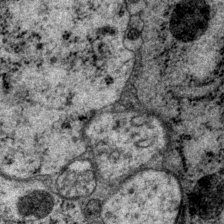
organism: P. pacificus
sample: Pharynx